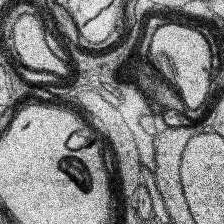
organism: Human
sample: Temporal Lobe